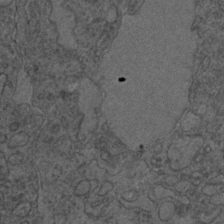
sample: Trachea